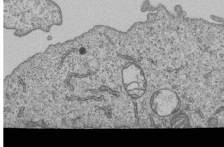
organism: Human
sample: MDA-MB-231 cells